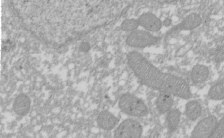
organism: Xenopus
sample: Cilia; centrioles in frog embryo cells